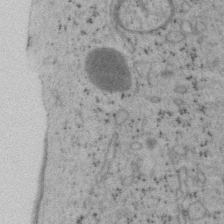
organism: Human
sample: HeLa cells